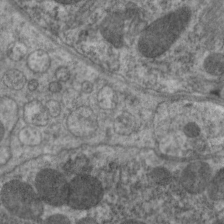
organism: C. elegans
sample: Pharynx